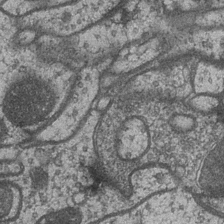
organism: Drosophila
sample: Optic medulla